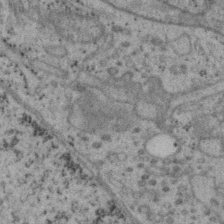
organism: Human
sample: HeLa cells